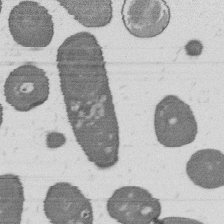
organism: B. subtilis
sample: Bacterial spore